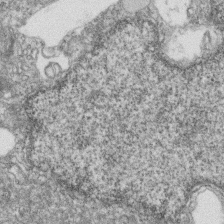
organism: Zebrafish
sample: Cilia; retinal pigment epithelium